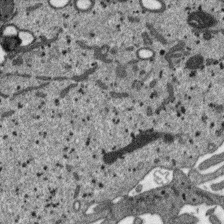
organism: Human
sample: Lung epithelial cells infected with SARS-CoV-2